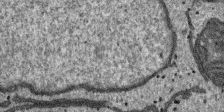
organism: Human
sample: Lung epithelial cells, uninfected (mock) control